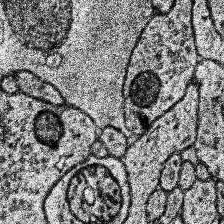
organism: Human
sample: Temporal Lobe